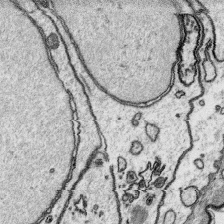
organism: Platynereis dumerilii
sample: Parapodia